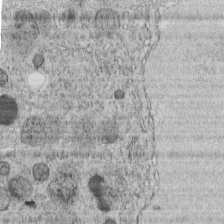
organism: C. elegans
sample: C. elegans embryo early stage